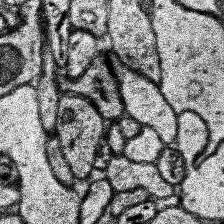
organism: Human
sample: Temporal Lobe